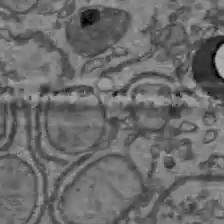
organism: C57BL Mouse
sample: Liver